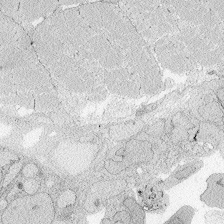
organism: Zebrafish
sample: Whole-Brain